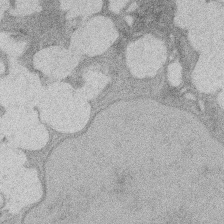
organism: Rat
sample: Salivary granule